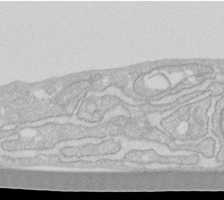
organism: Human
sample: Fibroblast cells